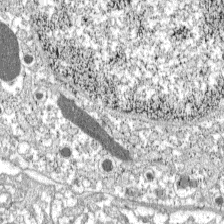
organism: C57BL Mouse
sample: Pancreatic islet